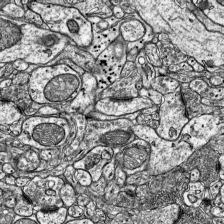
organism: Mouse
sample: Visual Cortex